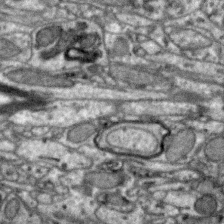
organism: Zebra finch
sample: Brain